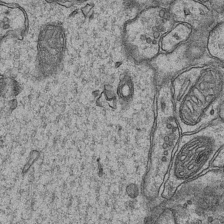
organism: Mouse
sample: CA1 Hippocampus